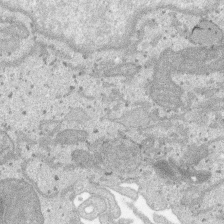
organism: Human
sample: Lung epithelial cells infected with SARS-CoV-2